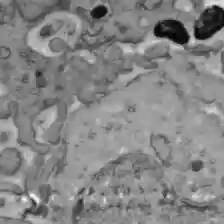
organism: C57BL Mouse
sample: Liver